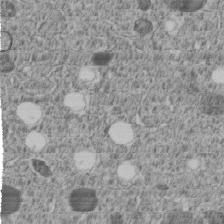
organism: C. elegans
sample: C. elegans embryo early stage